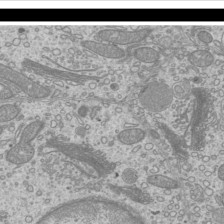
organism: Mouse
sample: Cilia; mouse epididymis